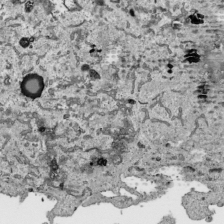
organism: Human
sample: Mitochondria in HCT116 cells